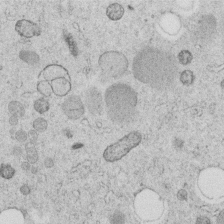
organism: C. elegans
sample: C. elegans embryo early stage